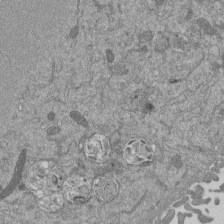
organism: Mouse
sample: ED-1 cell nuclei; centrioles